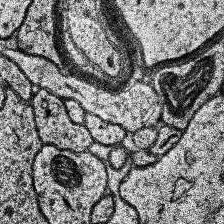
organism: Human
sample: Temporal Lobe